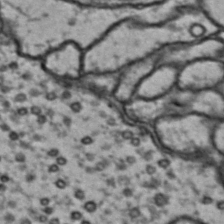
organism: Drosophila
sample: Brain